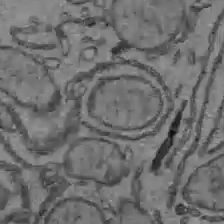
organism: C57BL Mouse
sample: Liver